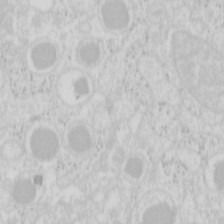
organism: Mouse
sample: Pancreas